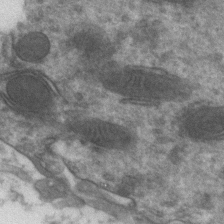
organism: Zebrafish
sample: Zebrafish embryo